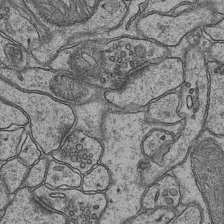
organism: Mouse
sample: CA1 Hippocampus